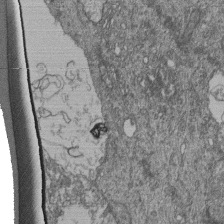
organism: Human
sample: Retinal organoid Rod and Cone cells